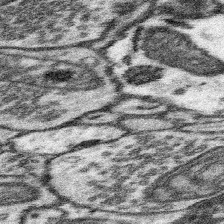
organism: Mouse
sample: Somatosensory cortex neuropil